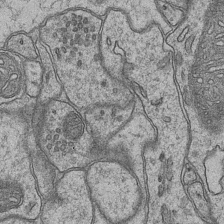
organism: Mouse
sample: CA1 Hippocampus